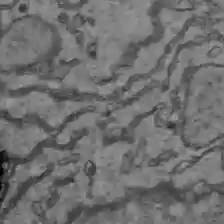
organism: C57BL Mouse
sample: Liver